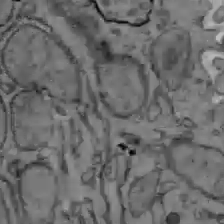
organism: C57BL Mouse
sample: Liver